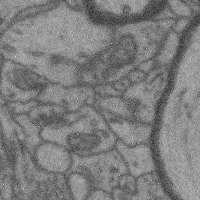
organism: Mouse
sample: Cerebral cortex